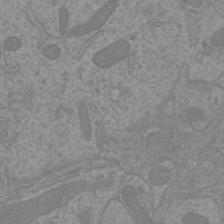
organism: Mouse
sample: Cortical neurons